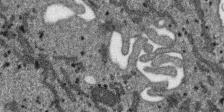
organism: Human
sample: Lung epithelial cells infected with SARS-CoV-2